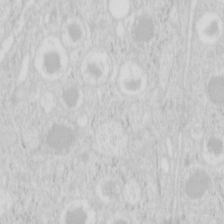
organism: Mouse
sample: Pancreas